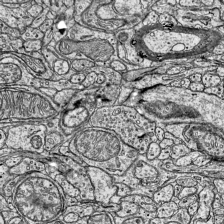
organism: Mouse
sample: Visual Cortex